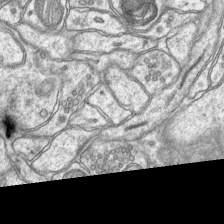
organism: Mouse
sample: CA1 Hippocampus